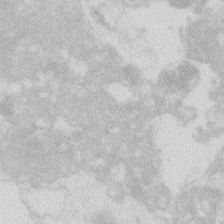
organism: Zebrafish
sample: Macrophage